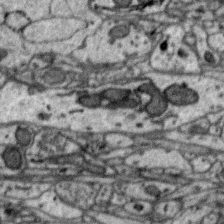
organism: Zebra finch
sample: Brain